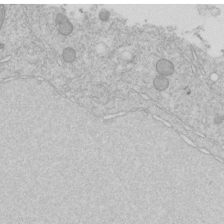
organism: C. elegans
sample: C. elegans embryo early stage